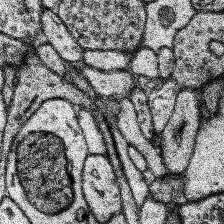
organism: Human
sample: Temporal Lobe